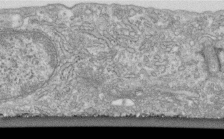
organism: Human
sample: Centriole in fibroblast cells